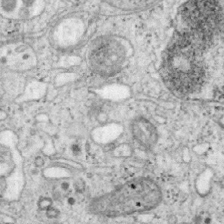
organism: Mouse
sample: OT-I killer T cells with ID8 ovarian cancer cells